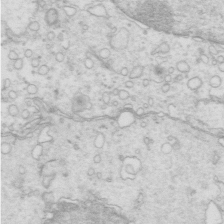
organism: Mouse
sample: Multiciliated cells